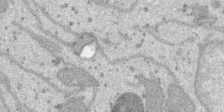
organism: Human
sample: Lung epithelial cells infected with SARS-CoV-2